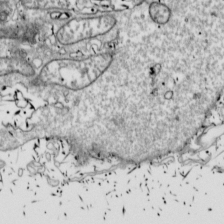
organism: Drosophila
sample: Cell division; meiosis; drosophila spermatocytes